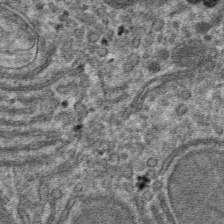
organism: Mouse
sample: Mouse hepatocytes